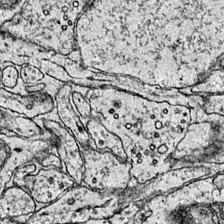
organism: Mouse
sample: Primary visual cortex